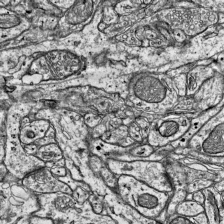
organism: Mouse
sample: Visual Cortex